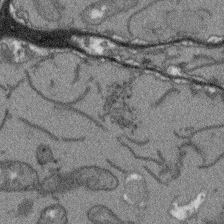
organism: Arabidopsis thaliana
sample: Root tip